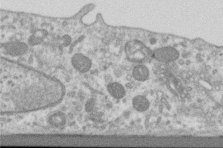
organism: Human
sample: Centriole in RPE cells